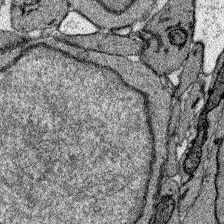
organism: Zebrafish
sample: Larval olfactory bulb